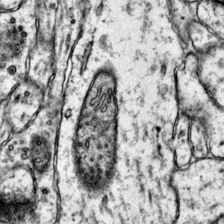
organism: Mouse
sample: Primary visual cortex